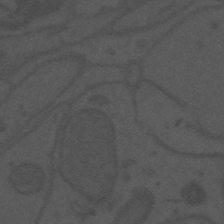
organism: Mouse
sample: Suprachiasmatic nucleus